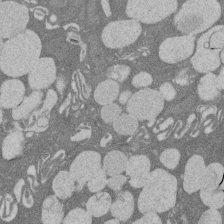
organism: Rat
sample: Salivary granule